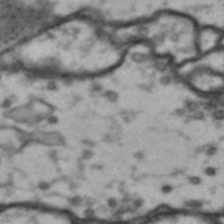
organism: Drosophila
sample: Brain